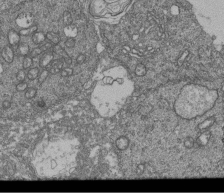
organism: Human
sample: Retinal organoid Rod and Cone cells